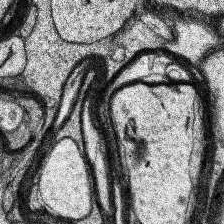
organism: Human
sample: Temporal Lobe